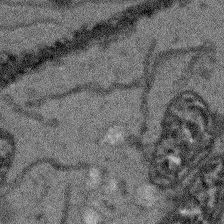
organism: Arabidopsis thaliana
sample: Root tip